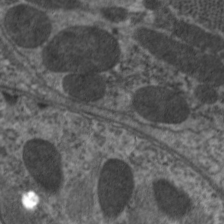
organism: C. elegans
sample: Pharynx